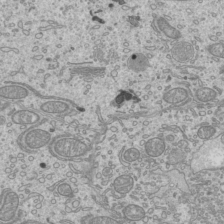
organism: Mouse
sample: Cilia; mouse epididymis